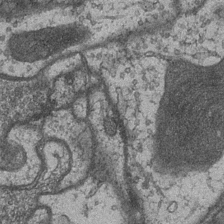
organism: Drosophila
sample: Optic medulla